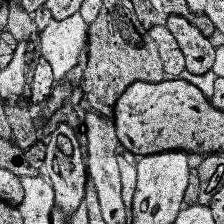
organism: Human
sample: Temporal Lobe